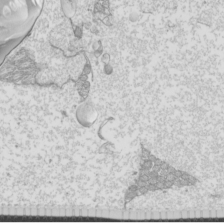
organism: Mouse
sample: Cilia; mouse epididymis